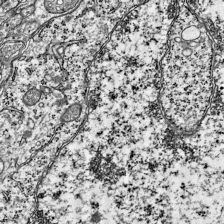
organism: Mouse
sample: Visual Cortex